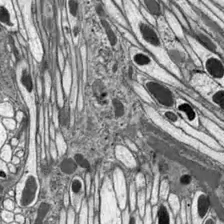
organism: Drosophila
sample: Optic lobe